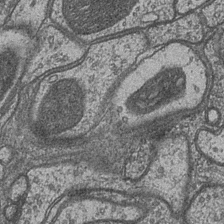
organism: Drosophila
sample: Optic medulla